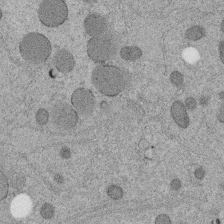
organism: C. elegans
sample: C. elegans embryo early stage